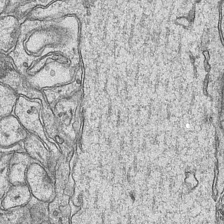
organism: Mouse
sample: CA1 Hippocampus